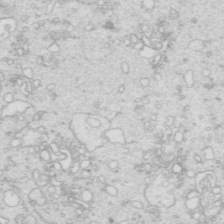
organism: Mouse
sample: Multiciliated cells